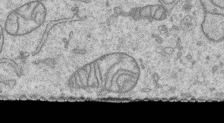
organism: Human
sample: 1205lu cells